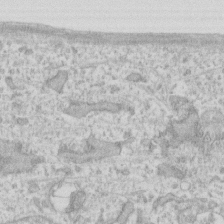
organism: Human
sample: Fibroblast cells